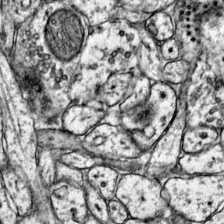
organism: Mouse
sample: Primary visual cortex